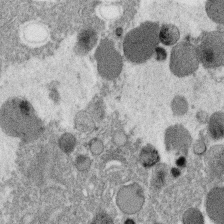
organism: C. elegans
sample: C. elegans oocyte; sperm cells